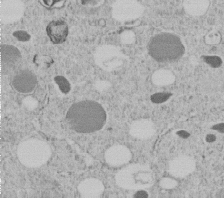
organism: C. elegans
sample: C. elegans embryo early stage